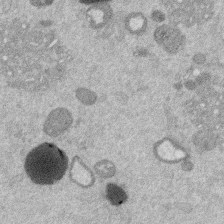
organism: Mouse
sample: Dividing mouse embryo 1 cell stage